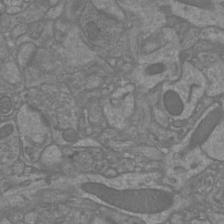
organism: Mouse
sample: Cortical neurons